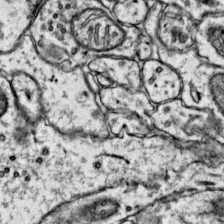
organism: Mouse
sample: Primary visual cortex